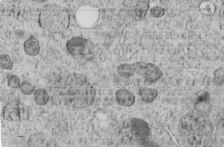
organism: C. elegans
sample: C. elegans embryo early stage